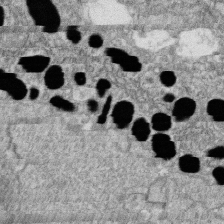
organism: Zebrafish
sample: Cilia; retinal pigment epithelium